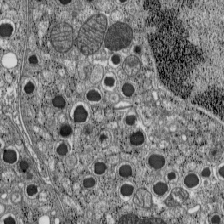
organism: C57BL Mouse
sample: Pancreatic islet